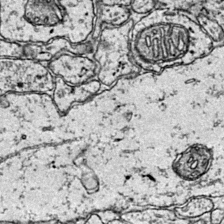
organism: Mouse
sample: Primary visual cortex